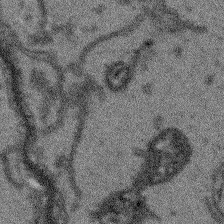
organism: Arabidopsis thaliana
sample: Root tip